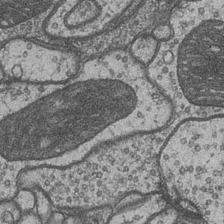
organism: Drosophila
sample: Optic medulla